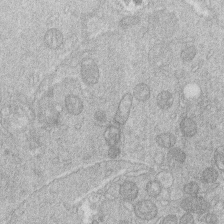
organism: Human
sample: Macrophage cells